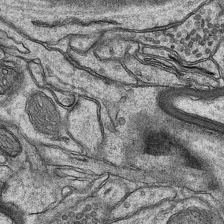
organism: Mouse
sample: CA1 Hippocampus